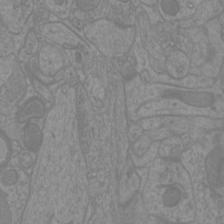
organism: Mouse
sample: Cortical neurons